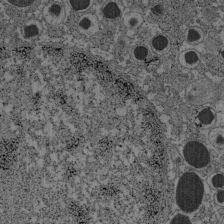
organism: C57BL Mouse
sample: Pancreatic islet